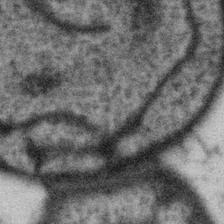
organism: Gemmata obscuriglobus